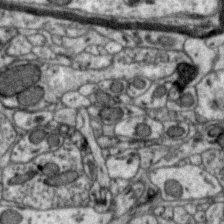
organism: Zebra finch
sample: Brain